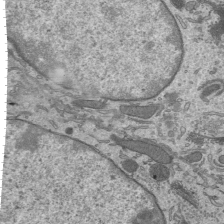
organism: Mouse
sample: Mouse epididymis efferent ductule cilia